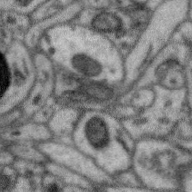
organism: Zebra finch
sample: Brain